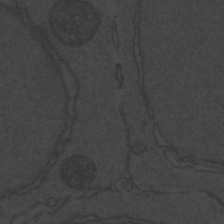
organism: Zebrafish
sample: Macrophage infected with Toxoplasma gondii